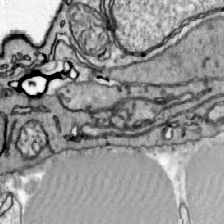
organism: Zebrafish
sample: Actinotrichia fibers